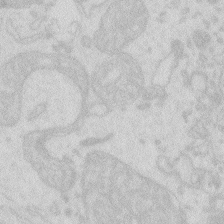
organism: Zebrafish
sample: Macrophage